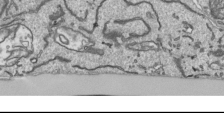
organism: Human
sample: Mitochondria in HCT116 cells